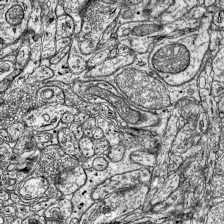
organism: Mouse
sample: Visual Cortex